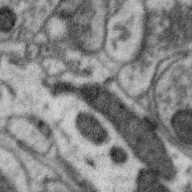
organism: Zebra finch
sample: Brain